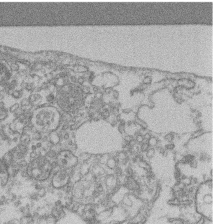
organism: Mouse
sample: T cell stromal cell synapse